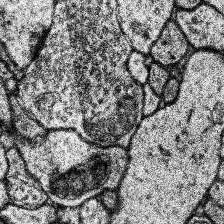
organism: Human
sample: Temporal Lobe